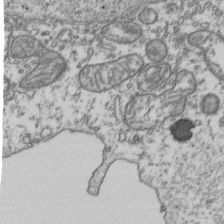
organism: Human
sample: Activated Jurkat CD4+ T cells